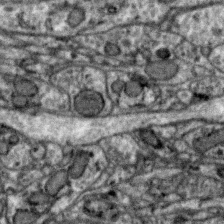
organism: Zebra finch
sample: Brain